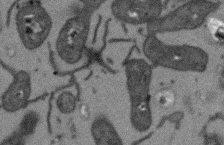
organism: Arabidopsis thaliana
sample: Root tip